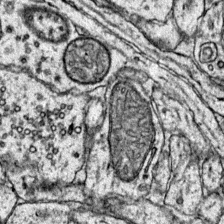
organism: Mouse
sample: Primary visual cortex